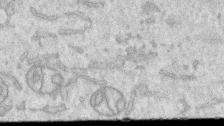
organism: Human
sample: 1205lu cells